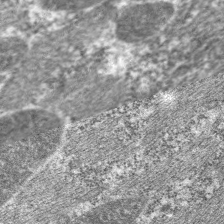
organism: C. elegans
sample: Pharynx